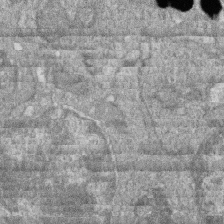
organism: Zebrafish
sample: Cilia; retinal pigment epithelium